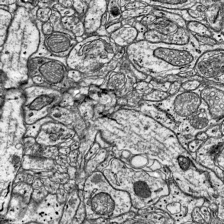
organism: Mouse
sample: Visual Cortex